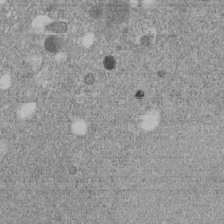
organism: C. elegans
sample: C. elegans embryo early stage